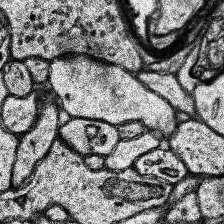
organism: Human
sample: Temporal Lobe